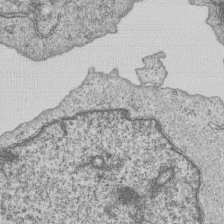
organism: Human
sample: MDA-MB-231 cells